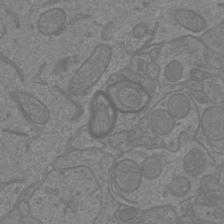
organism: Mouse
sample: Cortical neurons